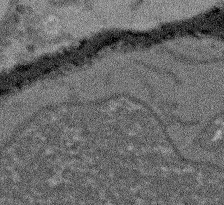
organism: Arabidopsis thaliana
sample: Root tip